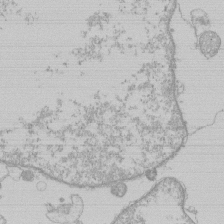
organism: Human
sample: Macrophage cells